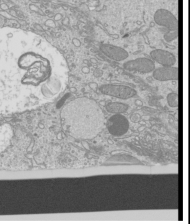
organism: Mouse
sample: Cilia; mouse epididymis